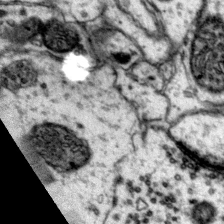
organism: Mouse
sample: Primary visual cortex